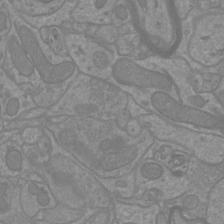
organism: Mouse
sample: Cortical neurons